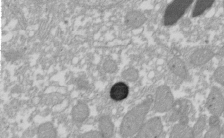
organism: Xenopus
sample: Cilia; centrioles in frog embryo cells